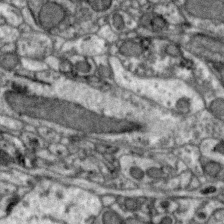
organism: Zebra finch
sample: Brain